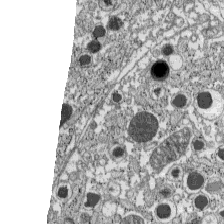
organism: C57BL Mouse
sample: Pancreatic islet